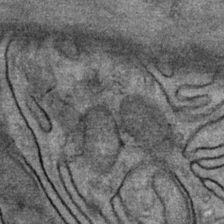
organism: Mouse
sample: Mouse Salivary gland